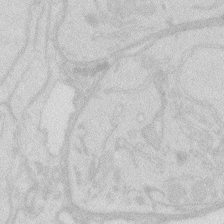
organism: Zebrafish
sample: Macrophage